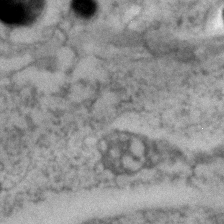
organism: Zebrafish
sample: Zebrafish embryo